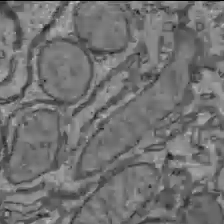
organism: C57BL Mouse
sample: Liver